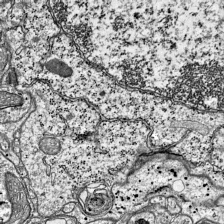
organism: Mouse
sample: Visual Cortex